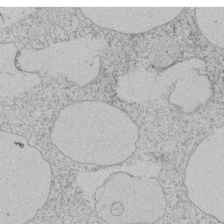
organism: Tetrahymena